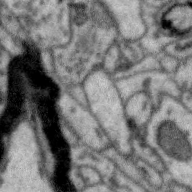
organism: Zebra finch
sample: Brain